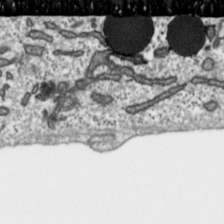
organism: Toxoplasma gondii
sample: Parasites in a vacuole inside a host cell